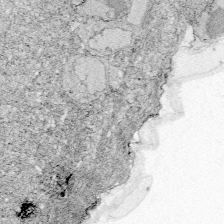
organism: Zebrafish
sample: Whole-Brain